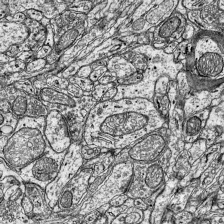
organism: Mouse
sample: Visual Cortex